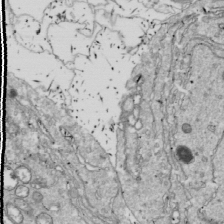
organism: Drosophila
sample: Cell division; meiosis; drosophila spermatocytes